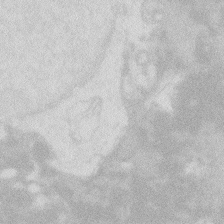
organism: Zebrafish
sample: Macrophage